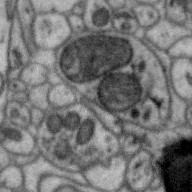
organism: Zebra finch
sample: Brain